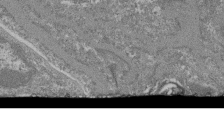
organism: Mouse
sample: Glomerulus